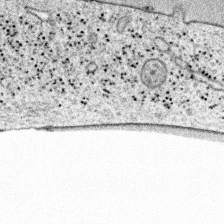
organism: Human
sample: HeLa cells